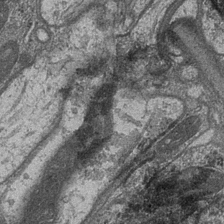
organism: Drosophila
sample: Optic medulla